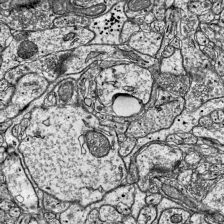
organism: Mouse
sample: Visual Cortex